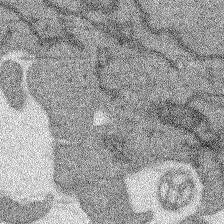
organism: Human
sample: HeLa cells